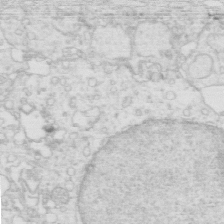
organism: Mouse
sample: Multiciliated cells